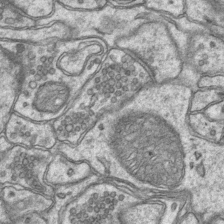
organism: Mouse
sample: CA1 Hippocampus